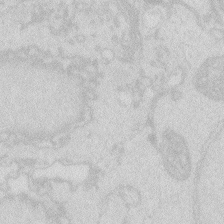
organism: Zebrafish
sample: Macrophage